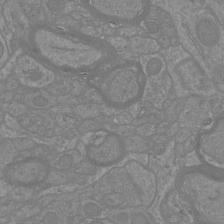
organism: Mouse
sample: Cortical neurons